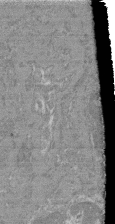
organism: Mouse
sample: Glomerulus